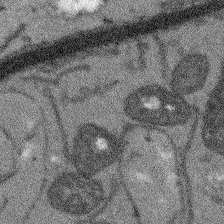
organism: Arabidopsis thaliana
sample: Root tip